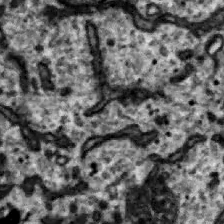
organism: Human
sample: HeLa cells